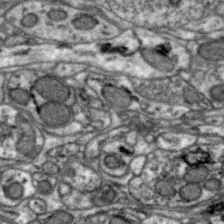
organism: Zebra finch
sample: Brain